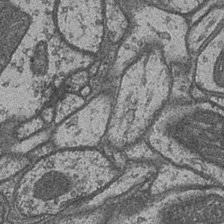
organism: Drosophila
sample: Optic medulla